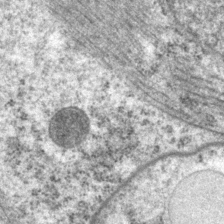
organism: P. pacificus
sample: Pharynx